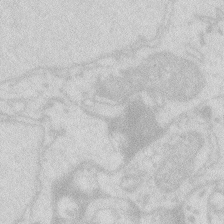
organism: Zebrafish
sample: Macrophage